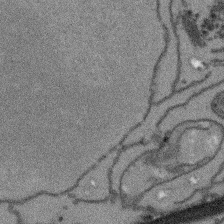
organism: Arabidopsis thaliana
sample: Root tip